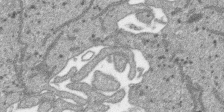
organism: Human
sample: Lung epithelial cells infected with SARS-CoV-2